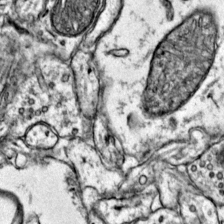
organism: Mouse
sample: Primary visual cortex